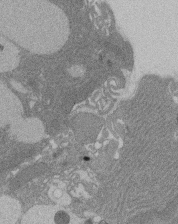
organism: Rat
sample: Salivary granule